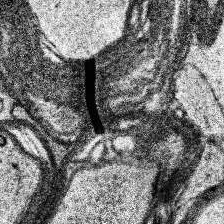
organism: Human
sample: Temporal Lobe